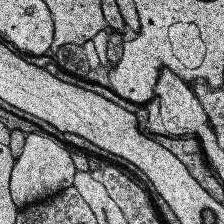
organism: Human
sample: Temporal Lobe